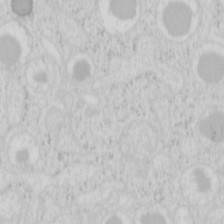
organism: Mouse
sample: Pancreas